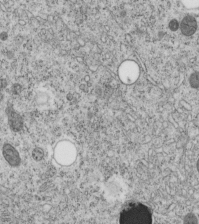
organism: C. elegans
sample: C. elegans embryo early stage